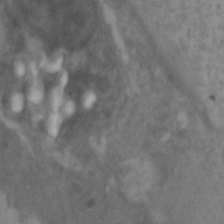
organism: Zebrafish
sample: Zebrafish embryo